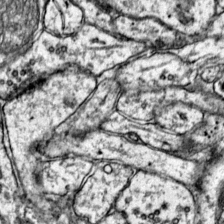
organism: Mouse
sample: Primary visual cortex